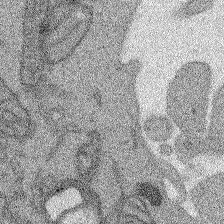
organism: Human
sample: HeLa cells